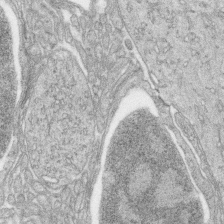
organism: Zebrafish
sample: synaptic ribbons in rod cells and cone cells